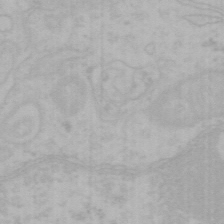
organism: Mouse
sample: Choroid plexus